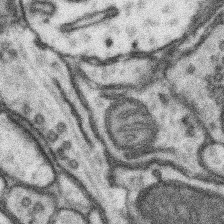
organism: Mouse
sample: Somatosensory cortex neuropil